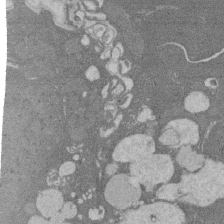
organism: Rat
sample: Salivary granule